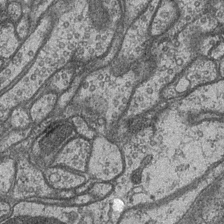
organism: Drosophila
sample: Optic medulla